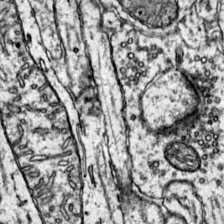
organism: Mouse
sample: Primary visual cortex